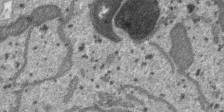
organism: Human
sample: Lung epithelial cells infected with SARS-CoV-2